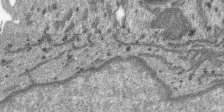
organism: Human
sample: Lung epithelial cells infected with SARS-CoV-2